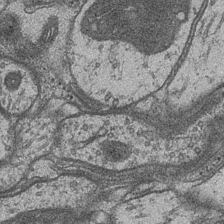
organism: Drosophila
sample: Optic medulla